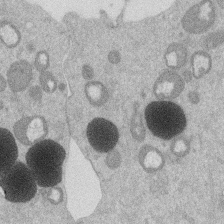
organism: Mouse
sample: Dividing mouse embryo 1 cell stage